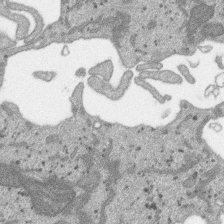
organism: Human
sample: Lung epithelial cells infected with SARS-CoV-2